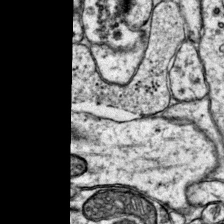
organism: Mouse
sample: Primary visual cortex